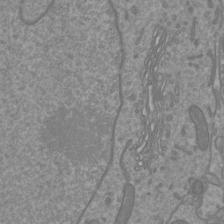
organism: Mouse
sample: Cortical neurons